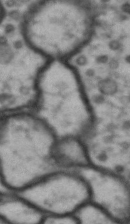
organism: Drosophila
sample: Brain